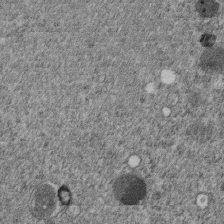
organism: C. elegans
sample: C. elegans embryo early stage